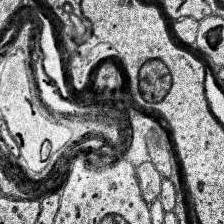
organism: Human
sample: Temporal Lobe